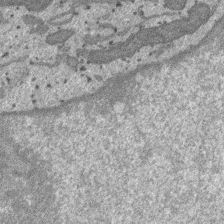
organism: Human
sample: Lung epithelial cells infected with SARS-CoV-2